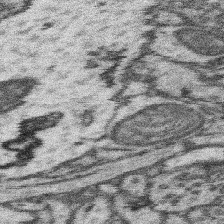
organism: Mouse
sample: Somatosensory cortex neuropil